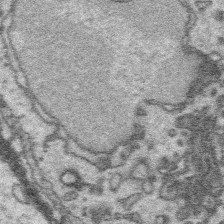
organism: Platynereis dumerilii